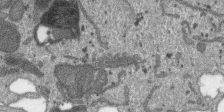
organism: Human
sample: Lung epithelial cells infected with SARS-CoV-2